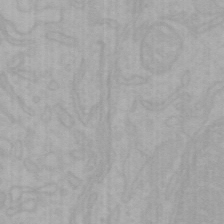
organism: Mouse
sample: Choroid plexus